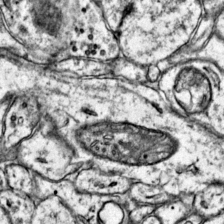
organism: Mouse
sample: Primary visual cortex